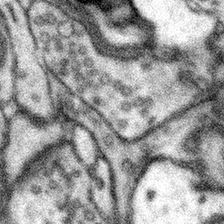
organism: Mouse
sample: Somatosensory cortex neuropil